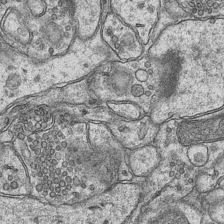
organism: Mouse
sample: CA1 Hippocampus